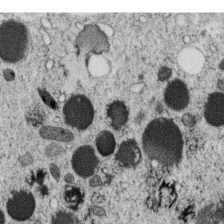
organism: C. elegans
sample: C. elegans oocyte; sperm cells